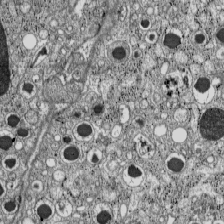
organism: C57BL Mouse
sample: Pancreatic islet